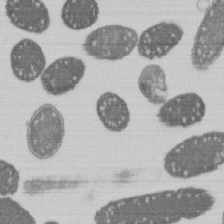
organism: E. coli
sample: Bacterial nucleoid